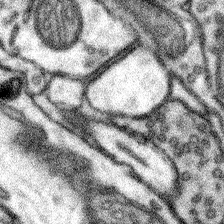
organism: Mouse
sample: Somatosensory cortex neuropil